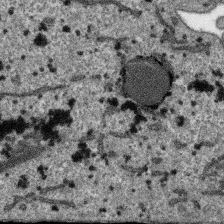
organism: Human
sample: Lung epithelial cells infected with SARS-CoV-2